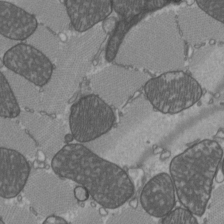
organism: C57BL Mouse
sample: Heart